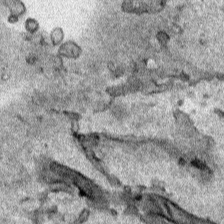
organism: Human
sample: Mitochondria in HCT116 cells